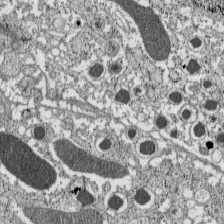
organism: C57BL Mouse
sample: Pancreatic islet